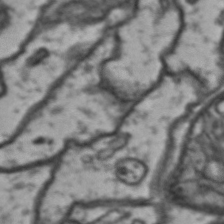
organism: Drosophila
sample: Brain